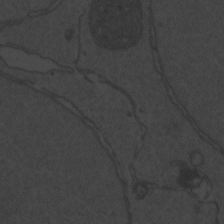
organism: Zebrafish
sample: Macrophage infected with Toxoplasma gondii